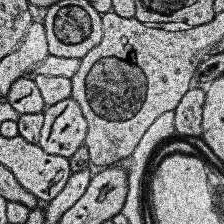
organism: Human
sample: Temporal Lobe